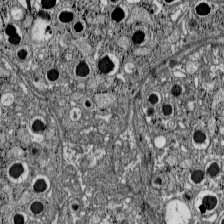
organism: C57BL Mouse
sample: Pancreatic islet